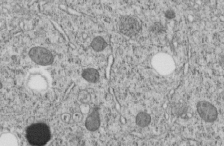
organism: C. elegans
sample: C. elegans embryo early stage